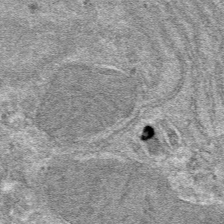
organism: Mouse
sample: Mouse hepatocytes